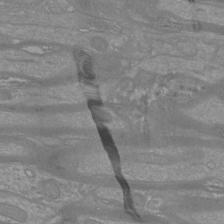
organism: Mouse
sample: Cortical neurons